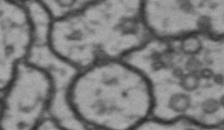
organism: Drosophila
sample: Brain